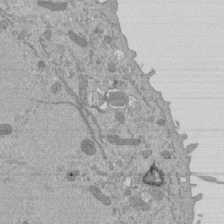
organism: Mouse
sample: ED-1 cell nuclei; centrioles